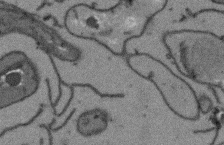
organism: Arabidopsis thaliana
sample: Root tip